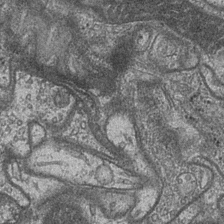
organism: Drosophila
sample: Optic medulla